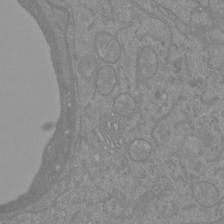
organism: Mouse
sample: Cortical neurons